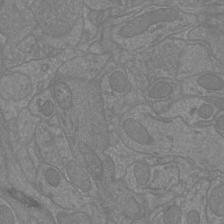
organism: Mouse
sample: Cortical neurons